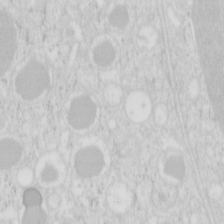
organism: Mouse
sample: Pancreas